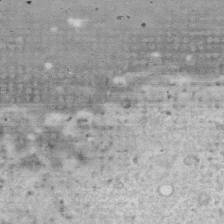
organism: Human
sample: Fibroblast cells